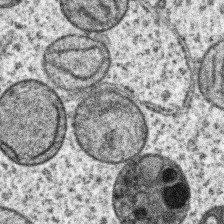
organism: Human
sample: HeLa cells